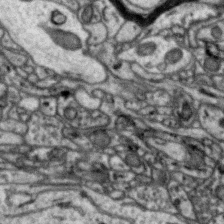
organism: Zebra finch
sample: Brain